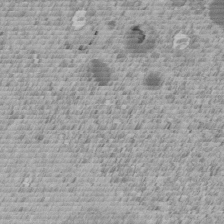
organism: C. elegans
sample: C. elegans embryo early stage